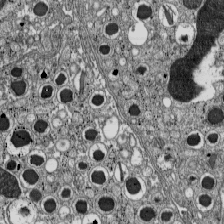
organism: C57BL Mouse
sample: Pancreatic islet